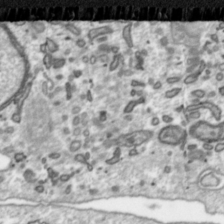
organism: Toxoplasma gondii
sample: Parasites in a vacuole inside a host cell